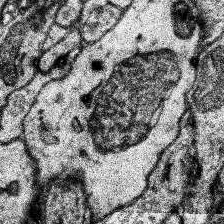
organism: Human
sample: Temporal Lobe